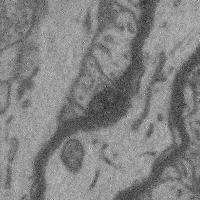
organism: Mouse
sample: Cerebral cortex